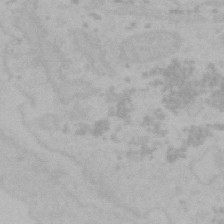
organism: Mouse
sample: Choroid plexus